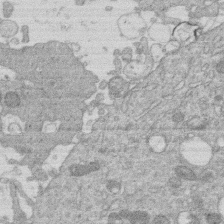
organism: Human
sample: Macrophage cells